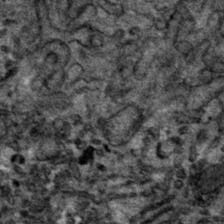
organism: Mouse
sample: Mouse hepatocytes